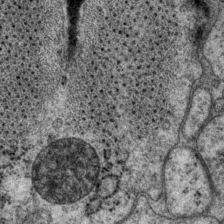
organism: P. pacificus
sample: Pharynx